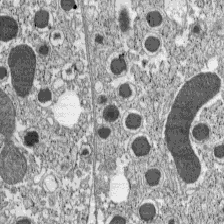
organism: C57BL Mouse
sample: Pancreatic islet